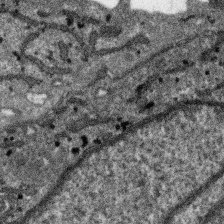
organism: Human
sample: Lung epithelial cells infected with SARS-CoV-2